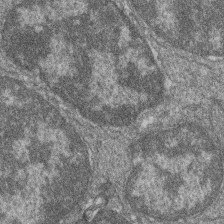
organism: Zebrafish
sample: Cilia; retinal pigment epithelium